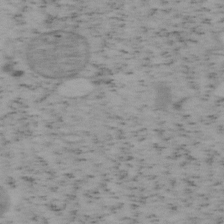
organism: Mouse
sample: OT-I killer T cells with ID8 ovarian cancer cells